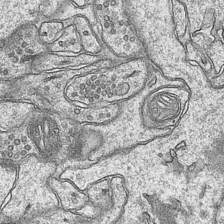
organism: Mouse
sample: CA1 Hippocampus